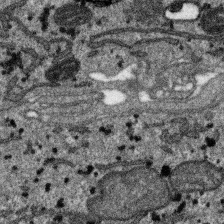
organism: Human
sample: Lung epithelial cells infected with SARS-CoV-2